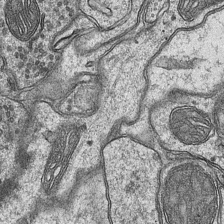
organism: Mouse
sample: CA1 Hippocampus